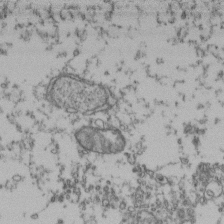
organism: Human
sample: Activated Jurkat CD4+ T cells